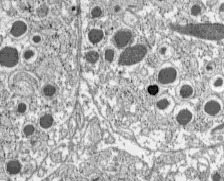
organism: C57BL Mouse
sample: Pancreatic islet